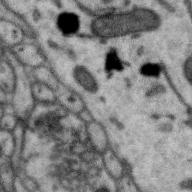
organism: Zebra finch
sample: Brain